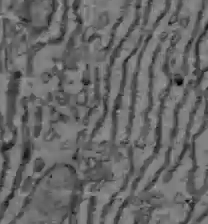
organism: C57BL Mouse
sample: Liver